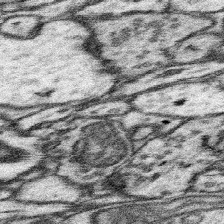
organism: Mouse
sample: Somatosensory cortex neuropil